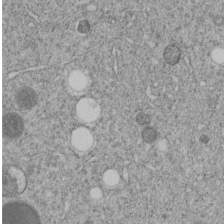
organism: C. elegans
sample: C. elegans embryo early stage